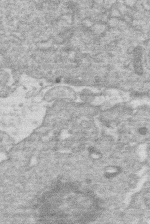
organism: Human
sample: Macrophage cells